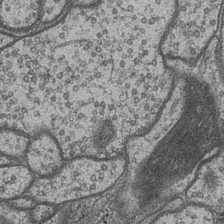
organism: Drosophila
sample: Optic medulla